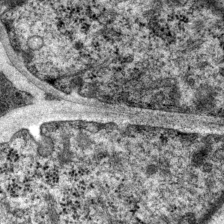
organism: P. pacificus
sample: Pharynx